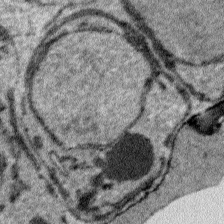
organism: Plasmodium falciparum